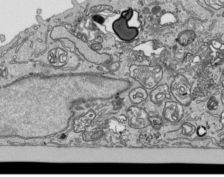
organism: Human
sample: Mitochondria in HCT116 cells